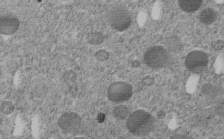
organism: C. elegans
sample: C. elegans embryo early stage